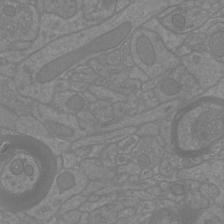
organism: Mouse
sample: Cortical neurons